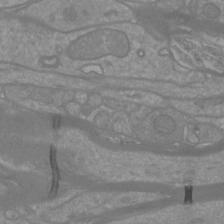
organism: Mouse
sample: Cortical neurons